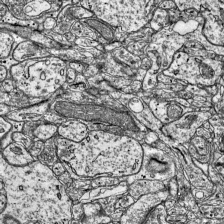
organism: Mouse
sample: Visual Cortex